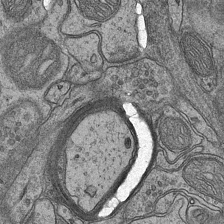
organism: Mouse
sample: CA1 Hippocampus